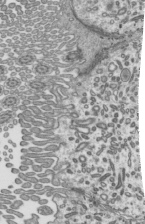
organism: Mouse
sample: Mouse epididymis efferent ductule cilia